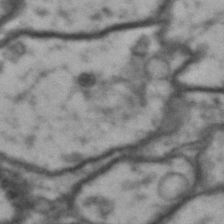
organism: Drosophila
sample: Brain